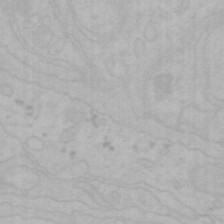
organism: Mouse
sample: Choroid plexus